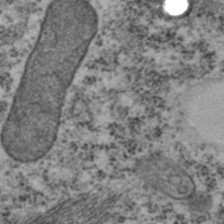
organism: C. elegans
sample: C. elegans embryo